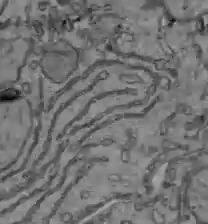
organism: C57BL Mouse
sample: Liver